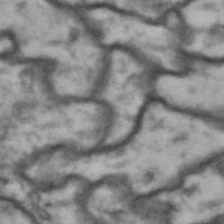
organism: Drosophila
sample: Brain